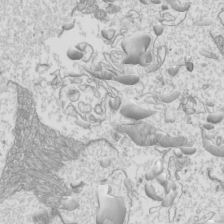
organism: Mouse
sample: Cilia; mouse epididymis